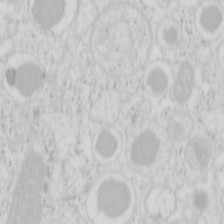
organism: Mouse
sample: Pancreas